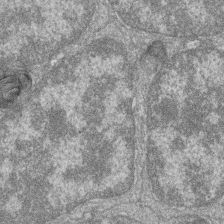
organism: Zebrafish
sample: Cilia; retinal pigment epithelium